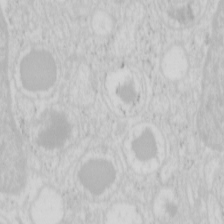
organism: Mouse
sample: Pancreas